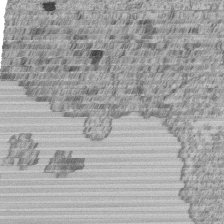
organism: Human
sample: MDA-MB-231 cells